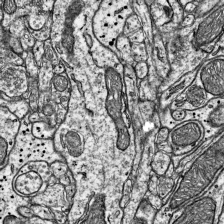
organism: Mouse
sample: Visual Cortex